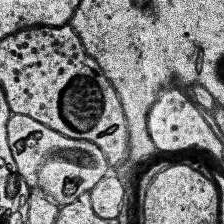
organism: Human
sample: Temporal Lobe